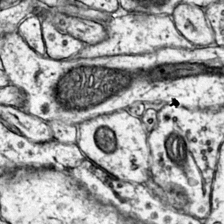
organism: Mouse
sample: Primary visual cortex